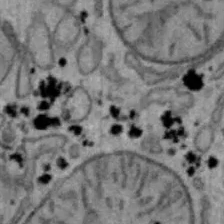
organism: Mouse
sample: Liver